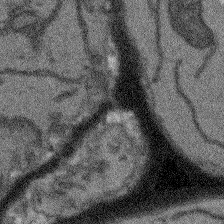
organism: Arabidopsis thaliana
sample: Root tip